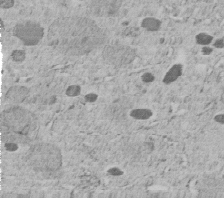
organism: C. elegans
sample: C. elegans embryo early stage